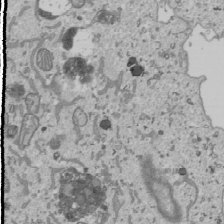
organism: Human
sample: Mitochondria in U2OS cells